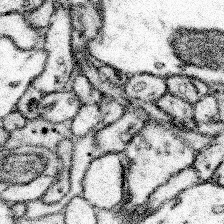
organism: Mouse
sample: Somatosensory cortex neuropil